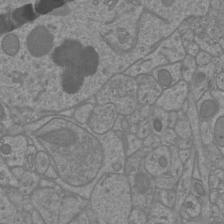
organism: Mouse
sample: Cortical neurons